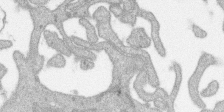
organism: Human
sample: Lung epithelial cells infected with SARS-CoV-2